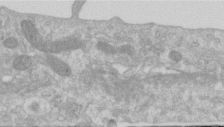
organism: Human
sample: Centriole in RPE cells